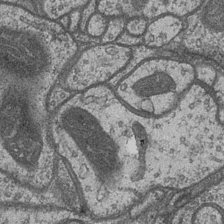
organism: Drosophila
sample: Optic medulla